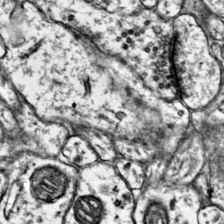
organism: Mouse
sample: Primary visual cortex